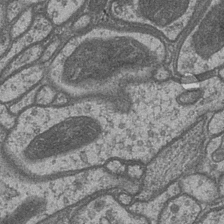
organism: Drosophila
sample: Optic medulla